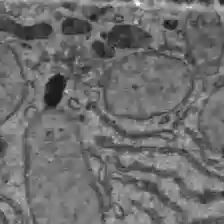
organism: C57BL Mouse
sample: Liver